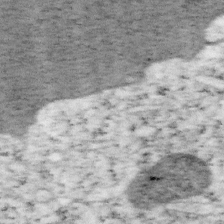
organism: Mouse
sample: OT-I killer T cells with ID8 ovarian cancer cells